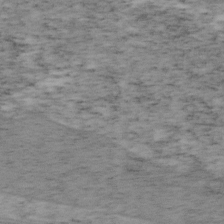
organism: Mouse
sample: OT-I killer T cells with ID8 ovarian cancer cells